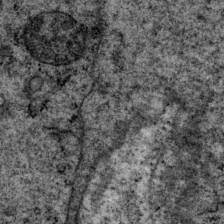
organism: P. pacificus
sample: Pharynx